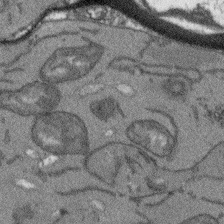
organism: Arabidopsis thaliana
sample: Root tip